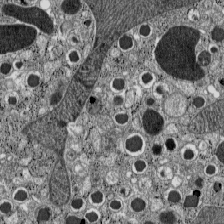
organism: C57BL Mouse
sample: Pancreatic islet